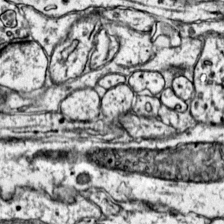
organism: Mouse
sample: Primary visual cortex